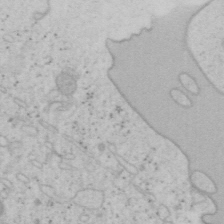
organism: Human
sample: HeLa cells